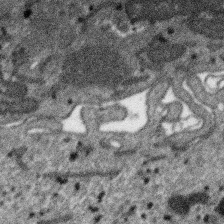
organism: Human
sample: Lung epithelial cells infected with SARS-CoV-2